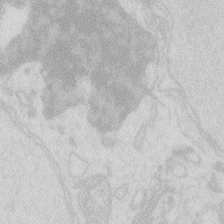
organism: Zebrafish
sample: Macrophage